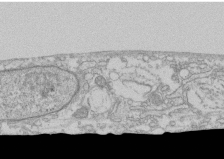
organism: Human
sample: CRL-1474